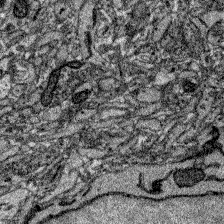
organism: Zebrafish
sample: Larval olfactory bulb